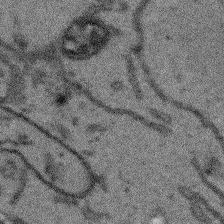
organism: Arabidopsis thaliana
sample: Root tip